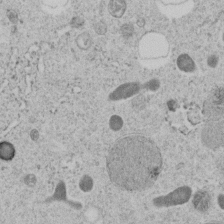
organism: C. elegans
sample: C. elegans embryo early stage